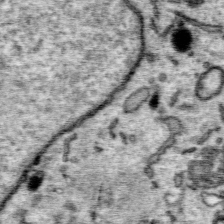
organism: Human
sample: HeLa cells